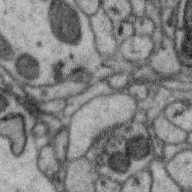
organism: Zebra finch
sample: Brain